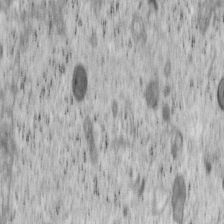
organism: Human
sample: HeLa cells